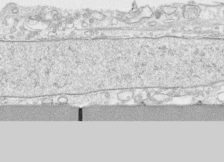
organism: Human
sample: CRL-1474